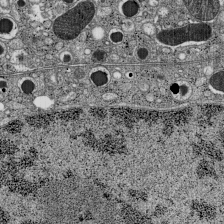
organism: C57BL Mouse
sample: Pancreatic islet